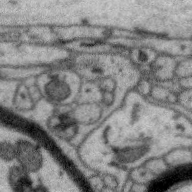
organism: Zebra finch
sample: Brain